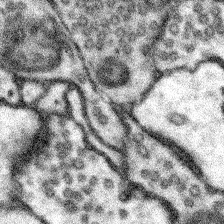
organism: Mouse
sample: Somatosensory cortex neuropil